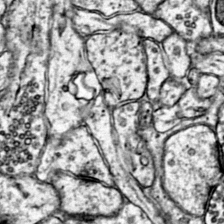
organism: Mouse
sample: Primary visual cortex